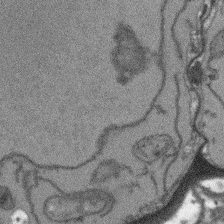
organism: Arabidopsis thaliana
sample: Root tip